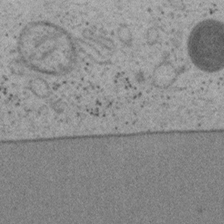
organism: Human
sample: HeLa cells